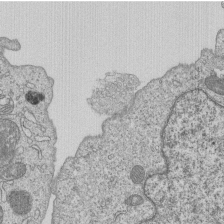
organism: Human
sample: MDA-MB-231 cells